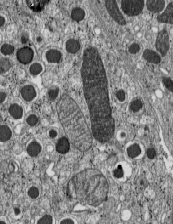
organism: C57BL Mouse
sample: Pancreatic islet